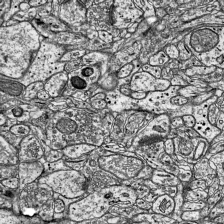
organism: Mouse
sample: Visual Cortex